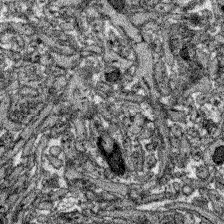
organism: Zebrafish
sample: Larval olfactory bulb